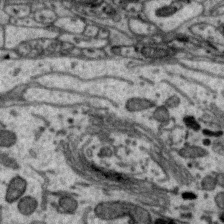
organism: Zebra finch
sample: Brain